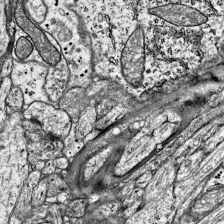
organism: Mouse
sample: Visual Cortex